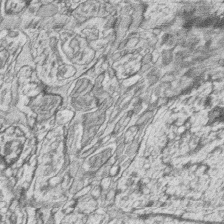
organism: Zebrafish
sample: synaptic ribbons in rod cells and cone cells